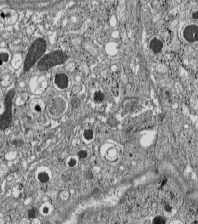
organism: C57BL Mouse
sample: Pancreatic islet